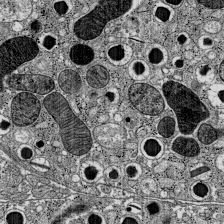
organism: C57BL Mouse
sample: Pancreatic islet